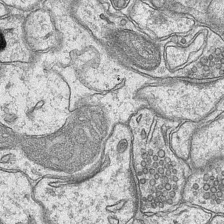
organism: Mouse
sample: CA1 Hippocampus